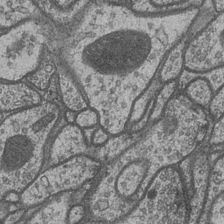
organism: Drosophila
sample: Optic medulla